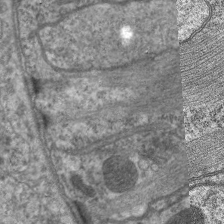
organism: C. elegans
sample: Pharynx